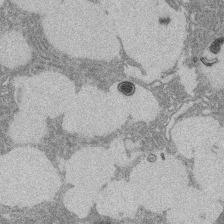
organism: Rat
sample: Salivary granule